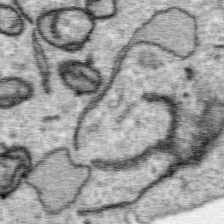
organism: Human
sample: HeLa cells